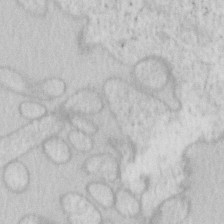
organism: Human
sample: HeLa cells